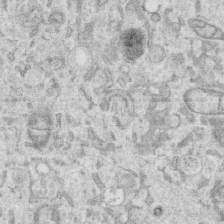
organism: Human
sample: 1205lu cells